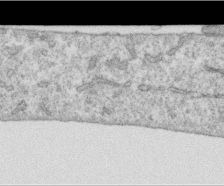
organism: Human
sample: Centriole in RPE cells